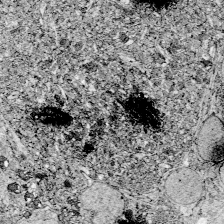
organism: Zebrafish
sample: Whole-Brain